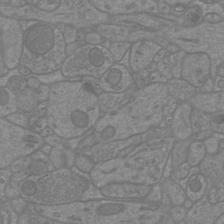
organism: Mouse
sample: Cortical neurons